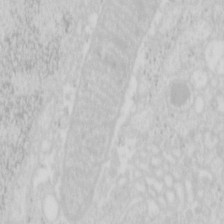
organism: Mouse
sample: Pancreas